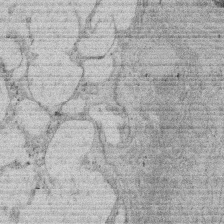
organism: Rat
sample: Salivary granule